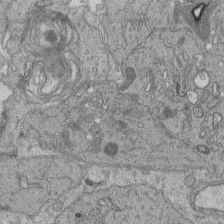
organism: Human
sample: Retinal organoid Rod and Cone cells